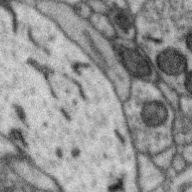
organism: Zebra finch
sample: Brain